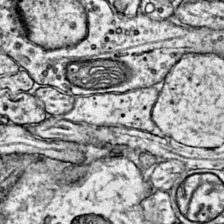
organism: Mouse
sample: Primary visual cortex